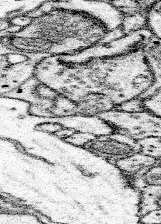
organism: Mouse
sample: Somatosensory cortex neuropil